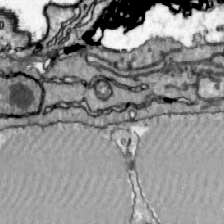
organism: Zebrafish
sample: Actinotrichia fibers